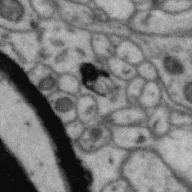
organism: Zebra finch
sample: Brain